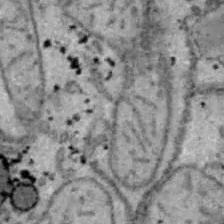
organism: Mouse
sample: Liver from an obese (ob/ob) mouse